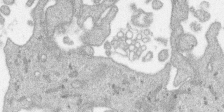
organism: Human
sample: Lung epithelial cells infected with SARS-CoV-2